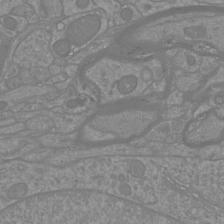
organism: Mouse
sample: Cortical neurons